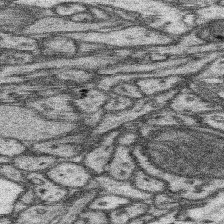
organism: Mouse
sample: Somatosensory cortex neuropil